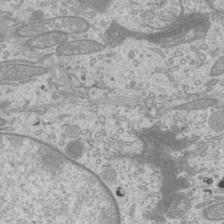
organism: Mouse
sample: Cilia; mouse epididymis